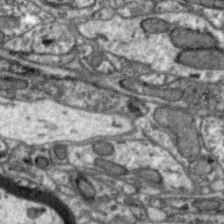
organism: Zebra finch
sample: Brain